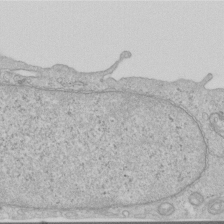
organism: Human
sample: Centriole in RPE cells